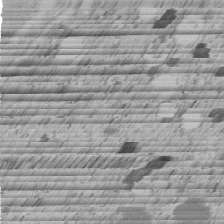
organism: C. elegans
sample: C. elegans embryo early stage